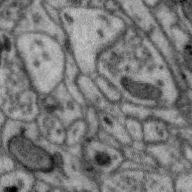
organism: Zebra finch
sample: Brain